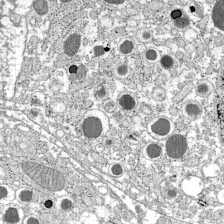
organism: C57BL Mouse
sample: Pancreatic islet